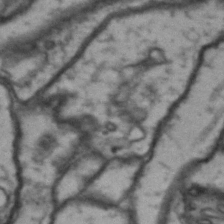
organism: Drosophila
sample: Brain